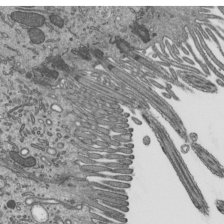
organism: Mouse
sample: Mouse epididymis efferent ductule cilia